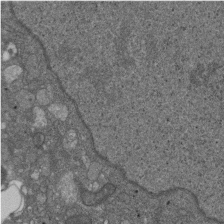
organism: Drosophila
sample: Nephrocyte